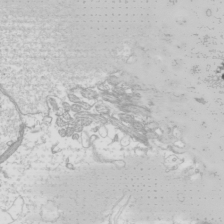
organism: Mouse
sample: Cilia; mouse epididymis